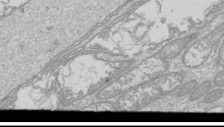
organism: Drosophila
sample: Cell division; meiosis; drosophila spermatocytes